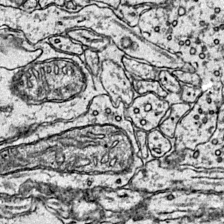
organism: Mouse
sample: Primary visual cortex